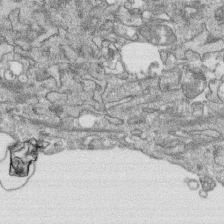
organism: Human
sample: CRL-1474